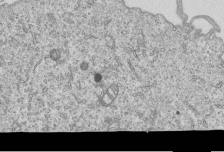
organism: Human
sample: MDA-MB-231 cells